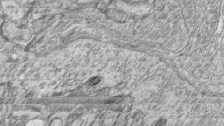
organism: Zebrafish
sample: synaptic ribbons in rod cells and cone cells